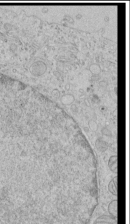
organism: Human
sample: Mitochondria in HCT116 cells